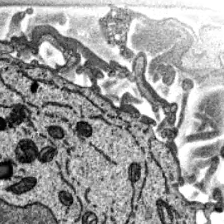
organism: Human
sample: HeLa cells